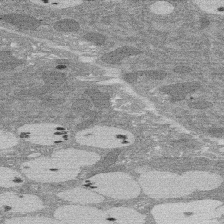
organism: Rat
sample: Salivary granule